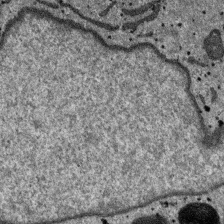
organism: Human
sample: Lung epithelial cells, uninfected (mock) control